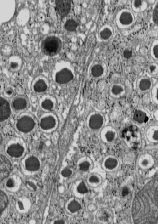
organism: C57BL Mouse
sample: Pancreatic islet